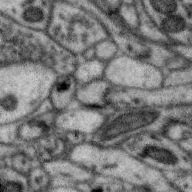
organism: Zebra finch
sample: Brain